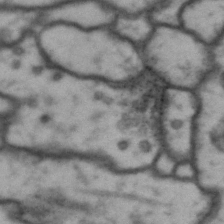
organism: Drosophila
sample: Brain